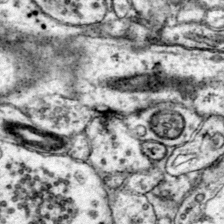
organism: Mouse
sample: Primary visual cortex